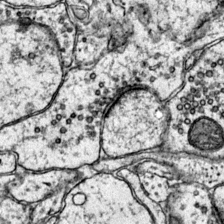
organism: Mouse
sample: Primary visual cortex